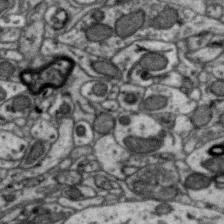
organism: Zebra finch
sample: Brain